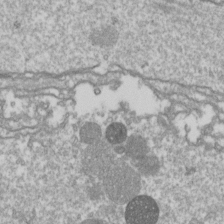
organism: Drosophila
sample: Cell division; meiosis; drosophila spermatocytes